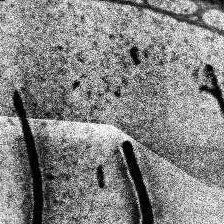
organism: Human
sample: Temporal Lobe